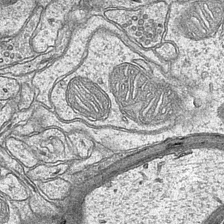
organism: Mouse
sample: CA1 Hippocampus